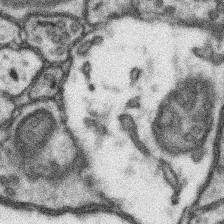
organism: Mouse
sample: Somatosensory cortex neuropil